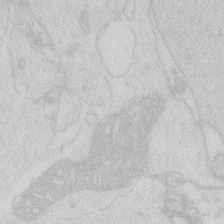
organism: Zebrafish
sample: Macrophage